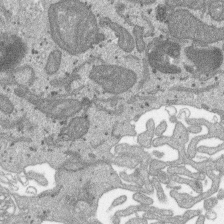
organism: Human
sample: Lung epithelial cells infected with SARS-CoV-2